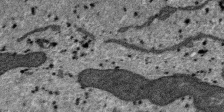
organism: Human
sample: Lung epithelial cells, uninfected (mock) control